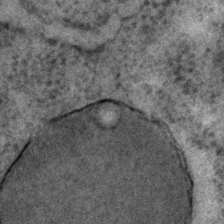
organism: C. elegans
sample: C. elegans embryo